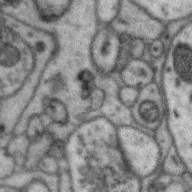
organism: Zebra finch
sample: Brain